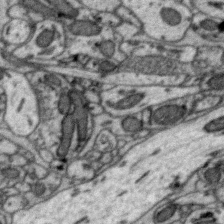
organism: Zebra finch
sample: Brain